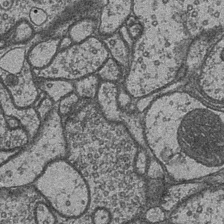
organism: Drosophila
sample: Optic medulla